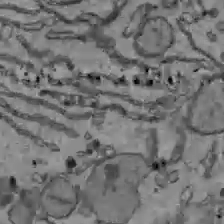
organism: C57BL Mouse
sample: Liver